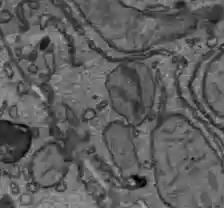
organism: C57BL Mouse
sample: Liver